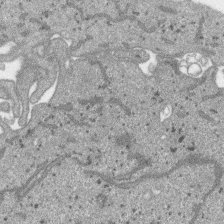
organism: Human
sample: Lung epithelial cells infected with SARS-CoV-2